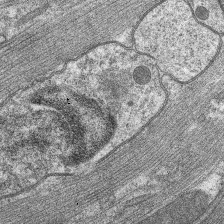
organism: C. elegans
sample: Pharynx